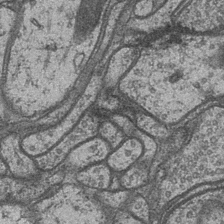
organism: Drosophila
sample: Optic medulla